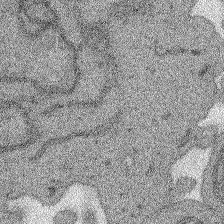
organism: Human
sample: HeLa cells